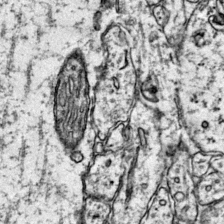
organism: Mouse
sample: Primary visual cortex